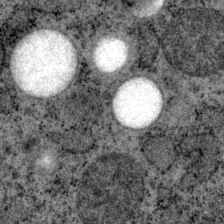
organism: P. pacificus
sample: Pharynx